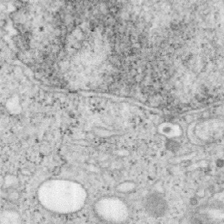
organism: Mouse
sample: OT-I killer T cells with ID8 ovarian cancer cells